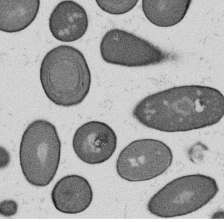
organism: B. subtilis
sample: Bacterial spore